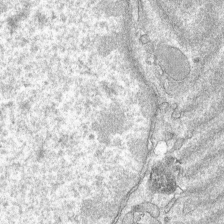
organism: Mouse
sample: Mouse hepatocytes